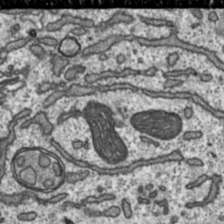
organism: Toxoplasma gondii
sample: Parasites in a vacuole inside a host cell